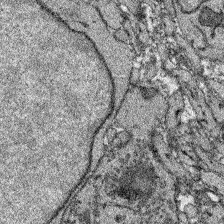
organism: Zebrafish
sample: Larval olfactory bulb